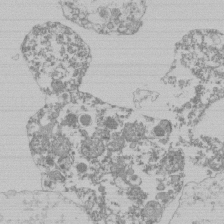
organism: Mouse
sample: Activated Pmel transgenic CD8+ T Cells